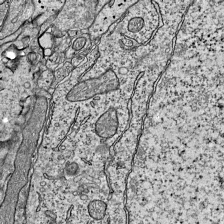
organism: Mouse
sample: Visual Cortex